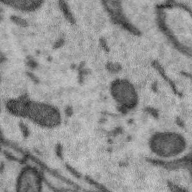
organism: Zebra finch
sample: Brain